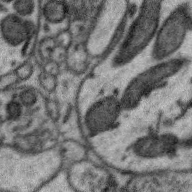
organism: Zebra finch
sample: Brain